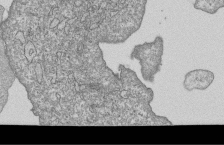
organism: Human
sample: MDA-MB-231 cells